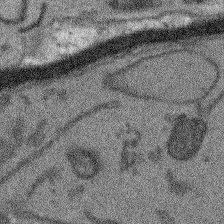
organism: Arabidopsis thaliana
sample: Root tip